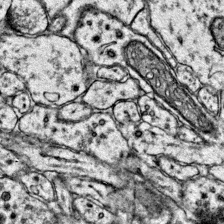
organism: Mouse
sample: Primary visual cortex